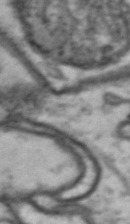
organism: Drosophila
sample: Brain